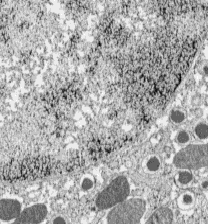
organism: C57BL Mouse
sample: Pancreatic islet